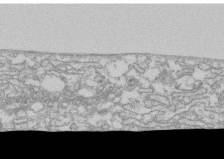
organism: Human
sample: CRL-1474